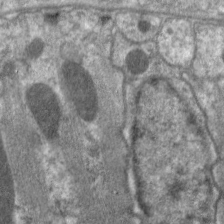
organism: C. elegans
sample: Pharynx